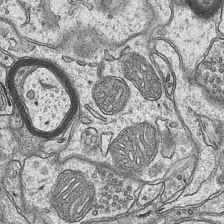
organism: Mouse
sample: CA1 Hippocampus